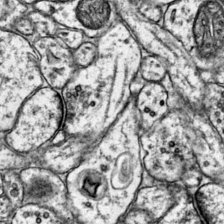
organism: Mouse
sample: Primary visual cortex